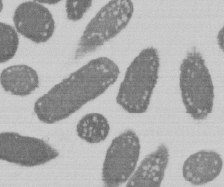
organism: E. coli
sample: Bacterial nucleoid